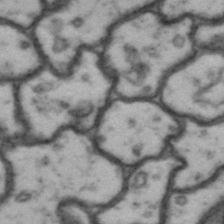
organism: Drosophila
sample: Brain